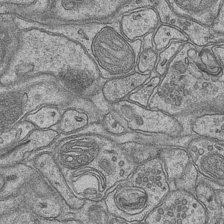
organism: Mouse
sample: CA1 Hippocampus